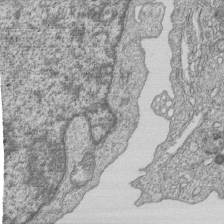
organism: Human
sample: MDA-MB-231 cells